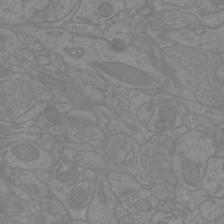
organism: Mouse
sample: Cortical neurons